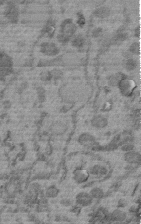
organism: C. elegans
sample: C. elegans embryo early stage